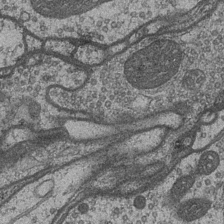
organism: Drosophila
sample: Optic medulla